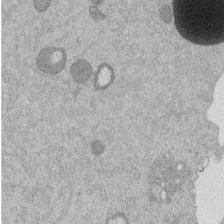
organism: Mouse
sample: Dividing mouse embryo 1 cell stage